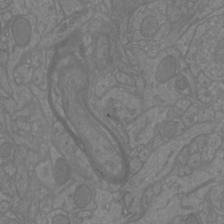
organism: Mouse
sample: Cortical neurons